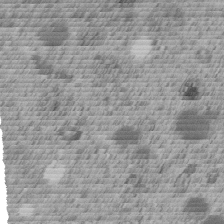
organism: C. elegans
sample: C. elegans embryo early stage